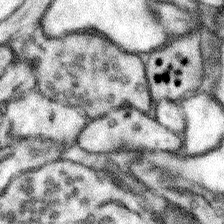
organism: Mouse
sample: Somatosensory cortex neuropil